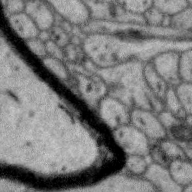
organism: Zebra finch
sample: Brain